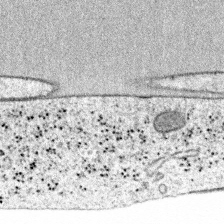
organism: Human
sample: HeLa cells